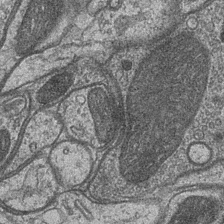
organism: Drosophila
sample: Optic medulla